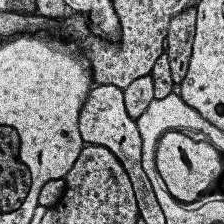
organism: Human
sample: Temporal Lobe